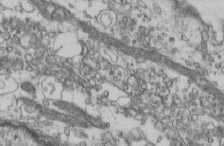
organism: Mouse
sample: Cilia; retinal pigment epithelium